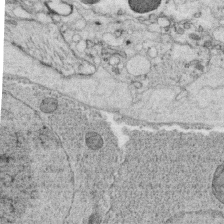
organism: C. elegans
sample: C. elegans oocyte; sperm cells